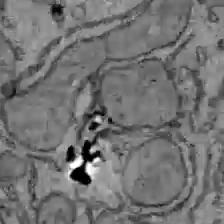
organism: C57BL Mouse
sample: Liver